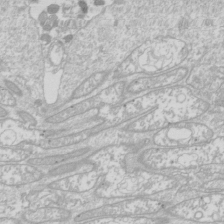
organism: Drosophila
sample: Cell division; meiosis; drosophila spermatocytes